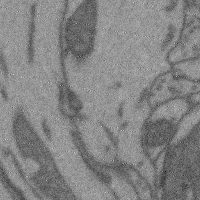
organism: Mouse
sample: Cerebral cortex